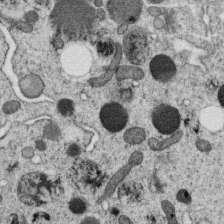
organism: C. elegans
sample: C. elegans oocyte; sperm cells